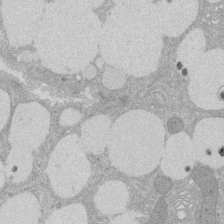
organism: Rat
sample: Salivary granule